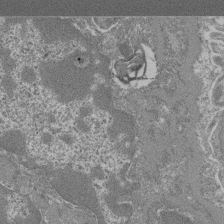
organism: Mouse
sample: Glomerulus